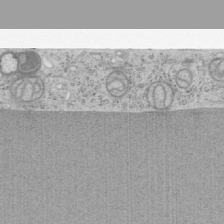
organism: Human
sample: HeLa cells